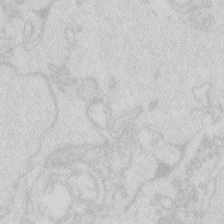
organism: Zebrafish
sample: Macrophage